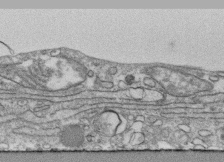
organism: Human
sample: CRL-1474